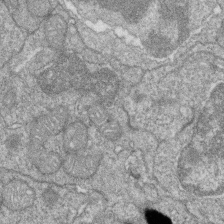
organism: Zebrafish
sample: Cilia; retinal pigment epithelium